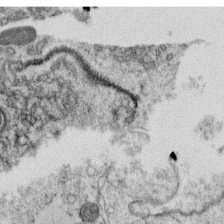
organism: C. elegans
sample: C. elegans oocyte; sperm cells